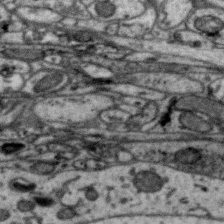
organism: Zebra finch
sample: Brain